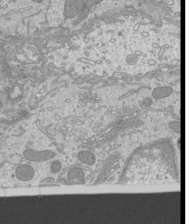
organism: Mouse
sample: Cilia; mouse epididymis